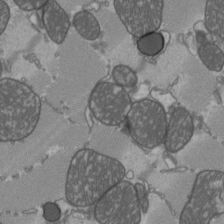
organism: C57BL Mouse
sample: Heart